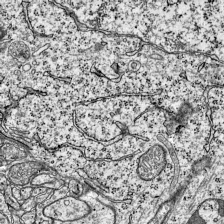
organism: Mouse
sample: Visual Cortex